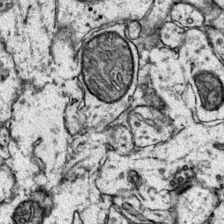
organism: Mouse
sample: Primary visual cortex